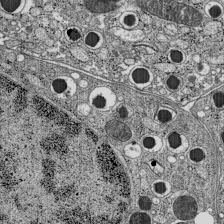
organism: C57BL Mouse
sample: Pancreatic islet